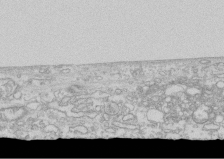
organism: Human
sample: CRL-1474